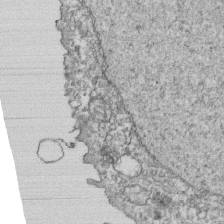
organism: Human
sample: HeLa cell HIV synapse